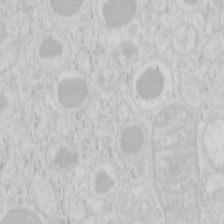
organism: Mouse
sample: Pancreas